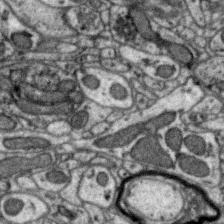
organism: Zebra finch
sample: Brain